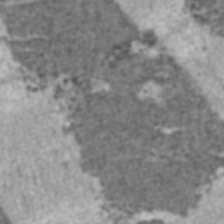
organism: C57BL Mouse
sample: Heart